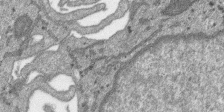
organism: Human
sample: Lung epithelial cells infected with SARS-CoV-2